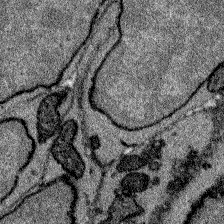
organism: Zebrafish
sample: Larval olfactory bulb